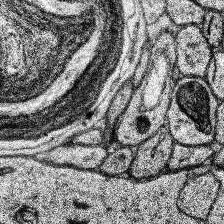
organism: Human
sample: Temporal Lobe